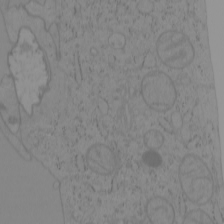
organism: Human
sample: HeLa cells